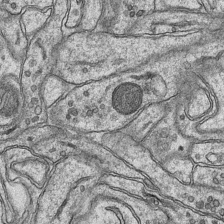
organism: Mouse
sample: CA1 Hippocampus